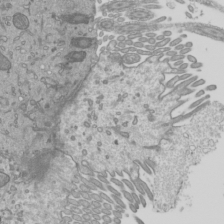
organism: Mouse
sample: Cilia; mouse epididymis